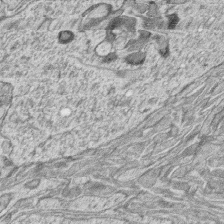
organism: Zebrafish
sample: synaptic ribbons in rod cells and cone cells